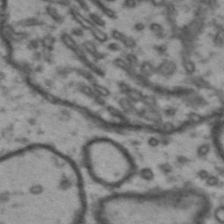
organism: Drosophila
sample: Brain